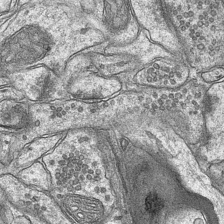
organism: Mouse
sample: CA1 Hippocampus